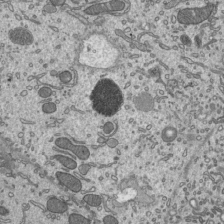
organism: Mouse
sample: Mouse epididymis efferent ductule cilia